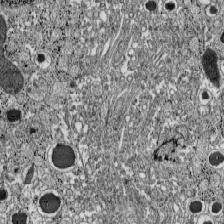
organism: C57BL Mouse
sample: Pancreatic islet